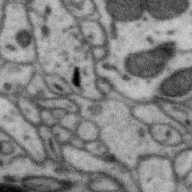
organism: Zebra finch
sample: Brain